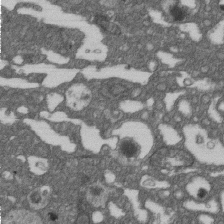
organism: Drosophila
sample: Nephrocyte